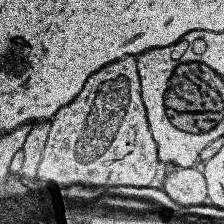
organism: Human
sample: Temporal Lobe